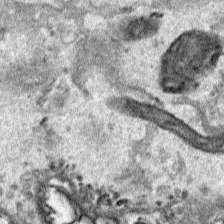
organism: Human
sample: Mitochondria in HCT116 cells